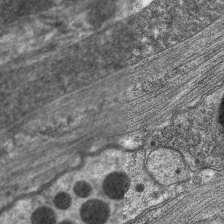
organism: C. elegans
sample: Pharynx